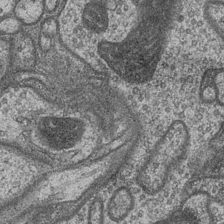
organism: Drosophila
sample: Optic medulla